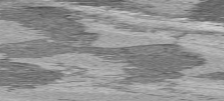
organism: C57BL Mouse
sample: Heart